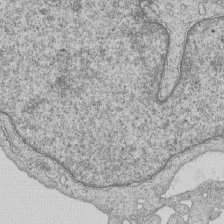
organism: Human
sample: MDA-MB-231 cells